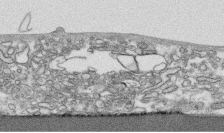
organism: Human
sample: CRL-1474